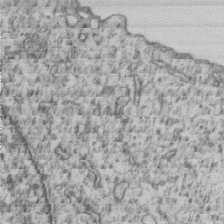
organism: Human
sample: MDA-MB-231 cells